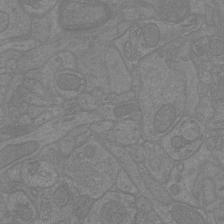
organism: Mouse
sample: Cortical neurons